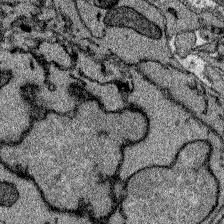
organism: Zebrafish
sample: Larval olfactory bulb